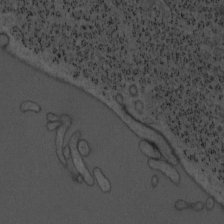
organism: Mouse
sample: OT-I killer T cells with ID8 ovarian cancer cells